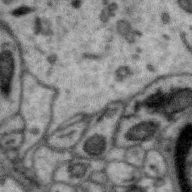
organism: Zebra finch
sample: Brain